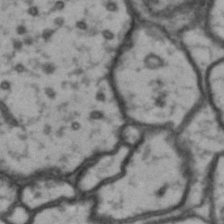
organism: Drosophila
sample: Brain